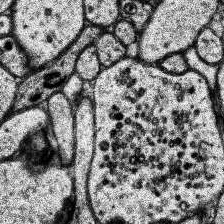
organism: Human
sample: Temporal Lobe